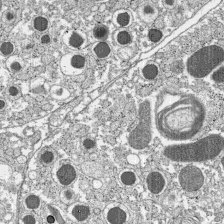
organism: C57BL Mouse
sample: Pancreatic islet